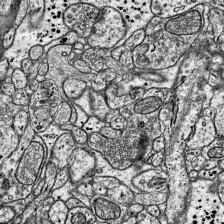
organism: Mouse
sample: Visual Cortex